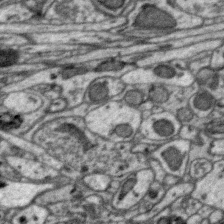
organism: Zebra finch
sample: Brain